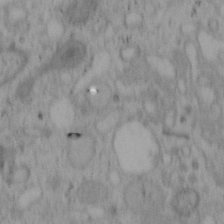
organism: Mouse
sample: OT-I killer T cells with ID8 ovarian cancer cells